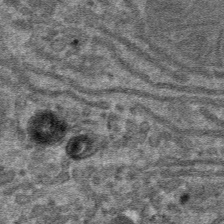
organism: Mouse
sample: Mouse hepatocytes